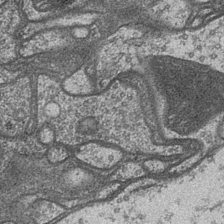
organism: Drosophila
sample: Optic medulla